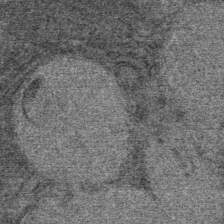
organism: Mouse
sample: Mouse Salivary gland